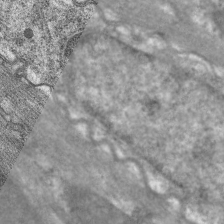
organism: C. elegans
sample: Pharynx